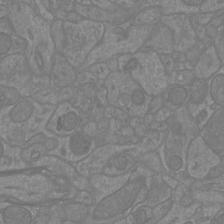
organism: Mouse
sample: Cortical neurons